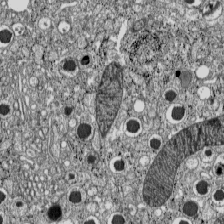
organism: C57BL Mouse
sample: Pancreatic islet